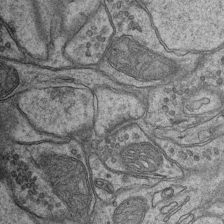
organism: Mouse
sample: CA1 Hippocampus